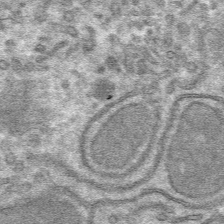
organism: Mouse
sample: Mouse hepatocytes